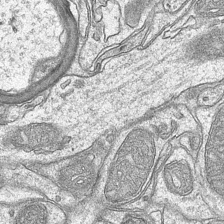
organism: Mouse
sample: CA1 Hippocampus